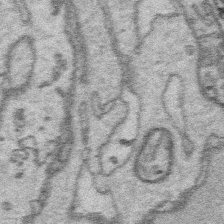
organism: Platynereis dumerilii